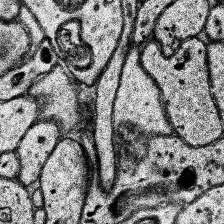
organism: Human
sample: Temporal Lobe